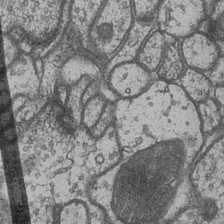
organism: Drosophila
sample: Optic medulla